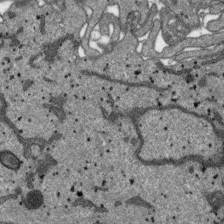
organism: Human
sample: Lung epithelial cells, uninfected (mock) control